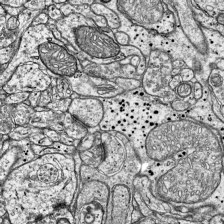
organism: Mouse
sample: Visual Cortex